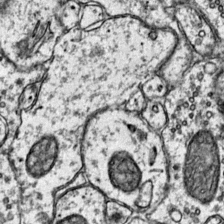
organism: Mouse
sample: Primary visual cortex